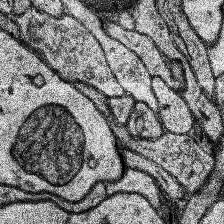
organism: Human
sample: Temporal Lobe